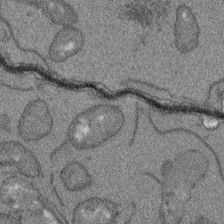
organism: Arabidopsis thaliana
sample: Root tip